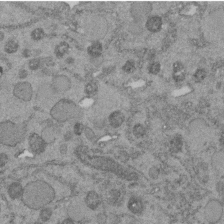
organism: C. elegans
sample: C. elegans embryo early stage